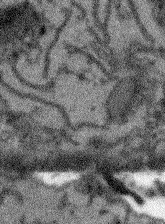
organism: Arabidopsis thaliana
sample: Root tip